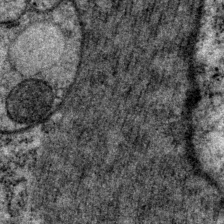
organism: P. pacificus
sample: Pharynx